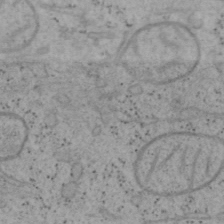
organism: Human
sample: HeLa cells